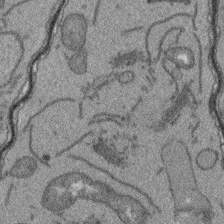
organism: Arabidopsis thaliana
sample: Root tip